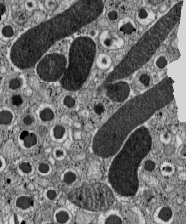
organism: C57BL Mouse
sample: Pancreatic islet